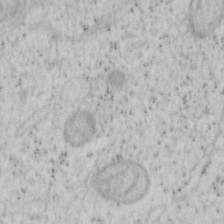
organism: Human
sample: HeLa cells